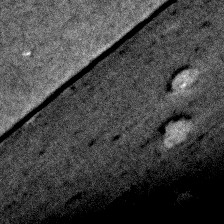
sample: Trachea